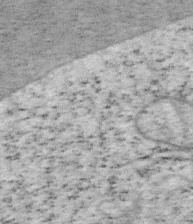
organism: Mouse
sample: OT-I killer T cells with ID8 ovarian cancer cells